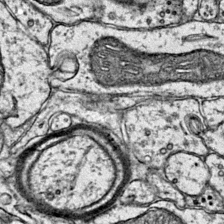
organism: Mouse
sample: Primary visual cortex